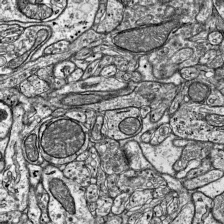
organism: Mouse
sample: Visual Cortex